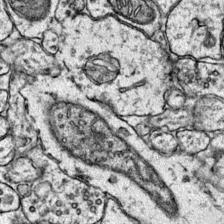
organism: Mouse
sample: Primary visual cortex